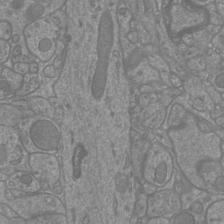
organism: Mouse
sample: Cortical neurons